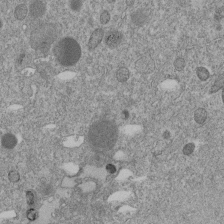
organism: C. elegans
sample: C. elegans embryo early stage